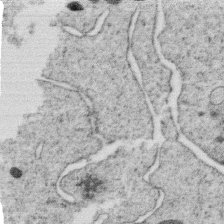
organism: C. elegans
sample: C. elegans oocyte; sperm cells